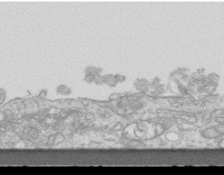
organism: Mouse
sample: Centriole in ependymal cells